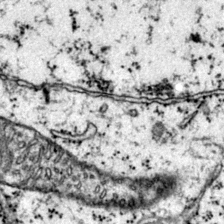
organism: Mouse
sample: Primary visual cortex